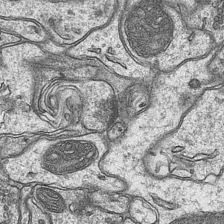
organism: Mouse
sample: CA1 Hippocampus